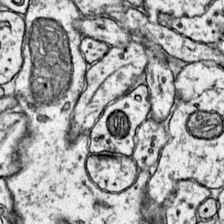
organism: Mouse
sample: Primary visual cortex